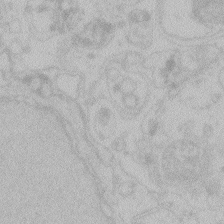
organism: Zebrafish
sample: Macrophage infected with Toxoplasma gondii